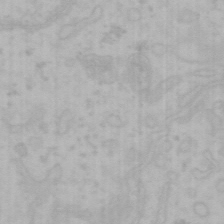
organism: Mouse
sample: Choroid plexus